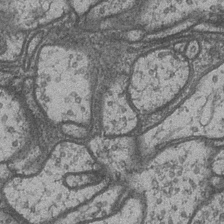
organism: Drosophila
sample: Optic medulla